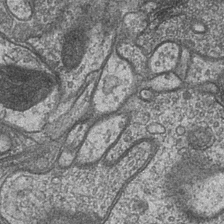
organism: Drosophila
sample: Optic medulla